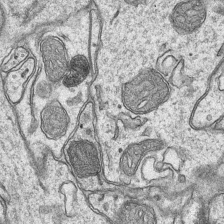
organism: Mouse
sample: CA1 Hippocampus